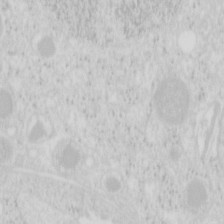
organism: Mouse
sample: Pancreas